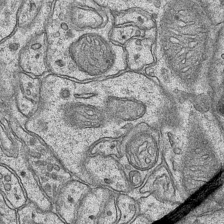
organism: Mouse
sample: CA1 Hippocampus